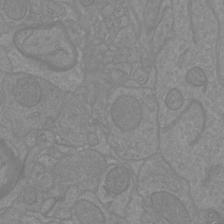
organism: Mouse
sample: Cortical neurons